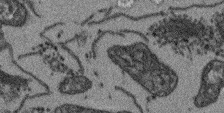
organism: Arabidopsis thaliana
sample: Root tip